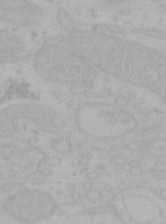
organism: Mouse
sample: Choroid plexus